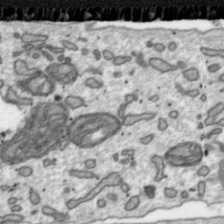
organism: Toxoplasma gondii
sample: Parasites in a vacuole inside a host cell